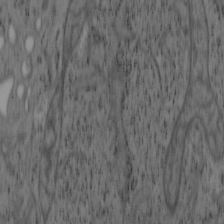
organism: Human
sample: HeLa cells